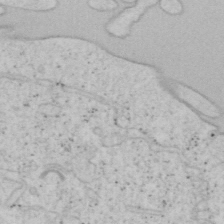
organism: Human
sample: HeLa cells